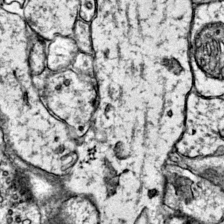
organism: Mouse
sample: Primary visual cortex